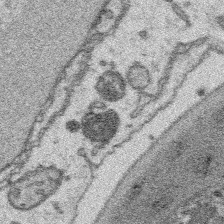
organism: Platynereis dumerilii